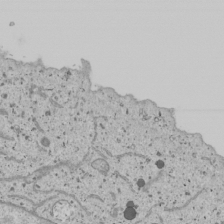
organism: Human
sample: Mitochondria in U2OS cells